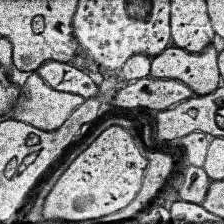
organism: Human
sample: Temporal Lobe